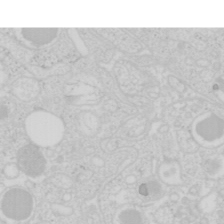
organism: Mouse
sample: Pancreas